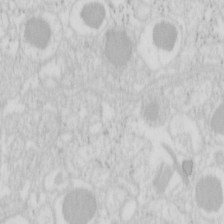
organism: Mouse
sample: Pancreas